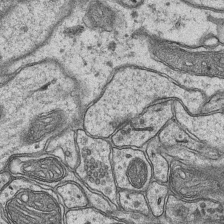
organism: Mouse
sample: CA1 Hippocampus